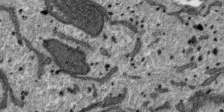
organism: Human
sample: Lung epithelial cells, uninfected (mock) control